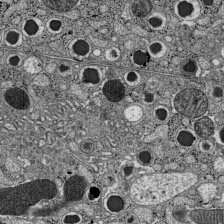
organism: C57BL Mouse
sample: Pancreatic islet